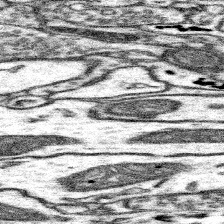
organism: Mouse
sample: Somatosensory cortex neuropil